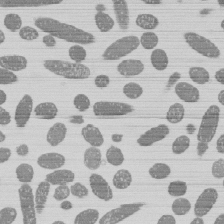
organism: E. coli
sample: Bacterial nucleoid